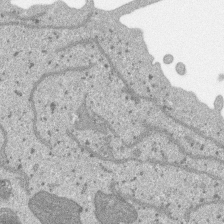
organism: Human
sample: Lung epithelial cells infected with SARS-CoV-2